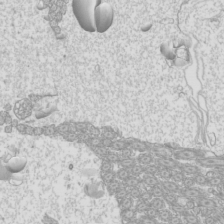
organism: Mouse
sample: Cilia; mouse epididymis